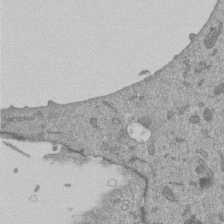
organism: Mouse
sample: ED-1 cell nuclei; centrioles